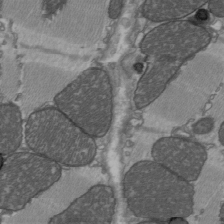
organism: C57BL Mouse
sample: Heart